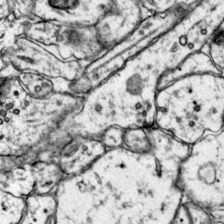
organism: Mouse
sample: Primary visual cortex